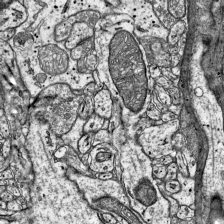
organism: Mouse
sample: Visual Cortex